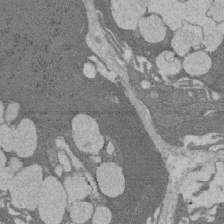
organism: Rat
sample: Salivary granule